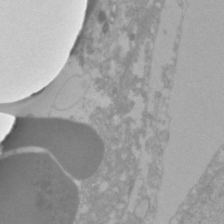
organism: Zebrafish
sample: Zebrafish embryo